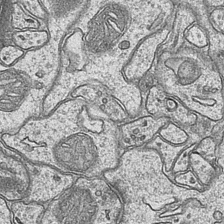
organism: Mouse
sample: CA1 Hippocampus